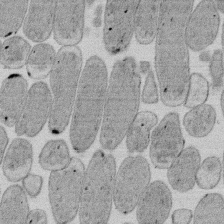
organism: E. coli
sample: Bacterial nucleoid